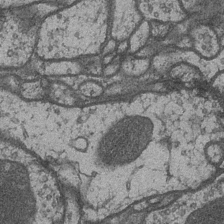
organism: Drosophila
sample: Optic medulla